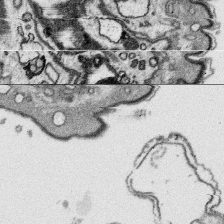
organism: Platynereis dumerilii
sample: Parapodia